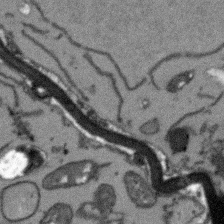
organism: Arabidopsis thaliana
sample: Root tip